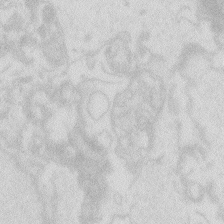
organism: Zebrafish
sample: Macrophage